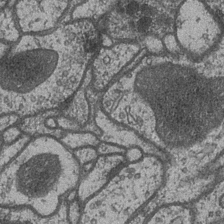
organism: Drosophila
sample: Optic medulla